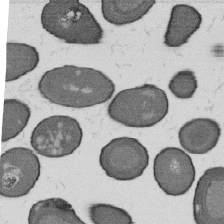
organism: B. subtilis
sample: Bacterial spore